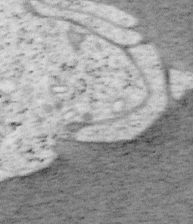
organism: Mouse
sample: OT-I killer T cells with ID8 ovarian cancer cells